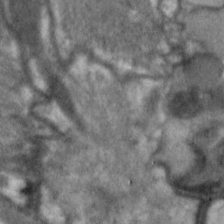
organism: C. elegans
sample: Pharynx